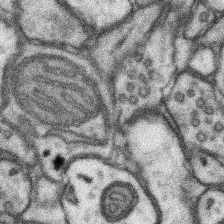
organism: Mouse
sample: Somatosensory cortex neuropil